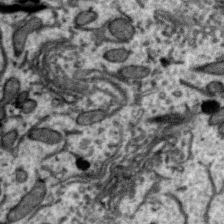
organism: Zebra finch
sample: Brain